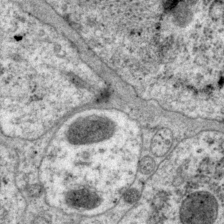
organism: P. pacificus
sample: Pharynx